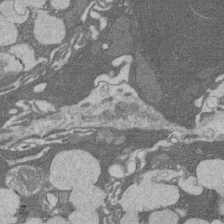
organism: Rat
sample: Salivary granule